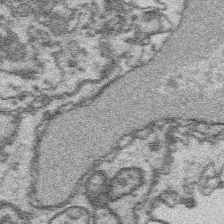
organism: Platynereis dumerilii